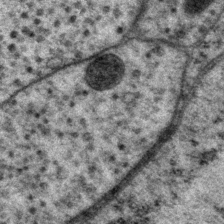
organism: P. pacificus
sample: Pharynx